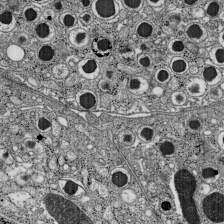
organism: C57BL Mouse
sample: Pancreatic islet